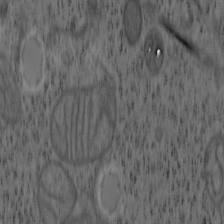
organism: Human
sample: HeLa cells